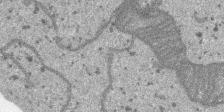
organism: Human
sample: Lung epithelial cells infected with SARS-CoV-2